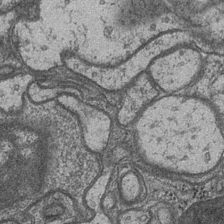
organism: Drosophila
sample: Optic medulla